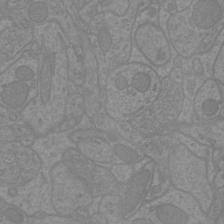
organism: Mouse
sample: Cortical neurons